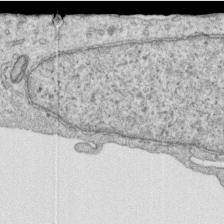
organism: Human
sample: Centriole in RPE cells